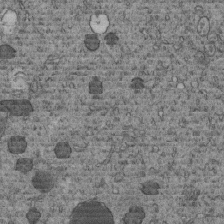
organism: C. elegans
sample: C. elegans embryo early stage